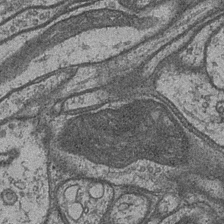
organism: Drosophila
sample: Optic medulla